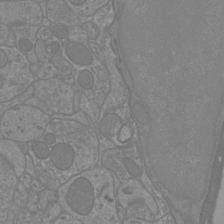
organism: Mouse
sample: Cortical neurons